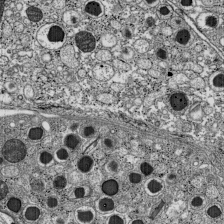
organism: C57BL Mouse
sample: Pancreatic islet